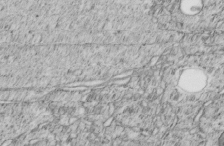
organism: C. elegans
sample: C. elegans embryo early stage